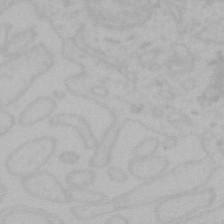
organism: Mouse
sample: Choroid plexus